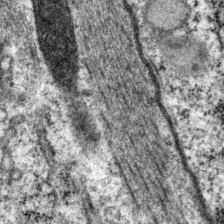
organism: P. pacificus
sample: Pharynx